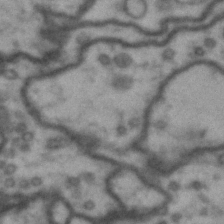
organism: Drosophila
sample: Brain